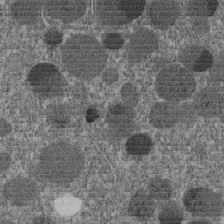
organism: C. elegans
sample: C. elegans embryo early stage